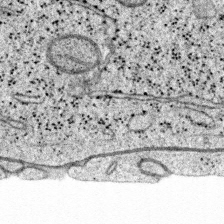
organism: Human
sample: HeLa cells